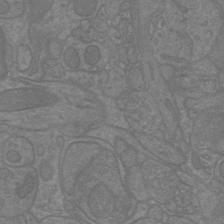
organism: Mouse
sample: Cortical neurons